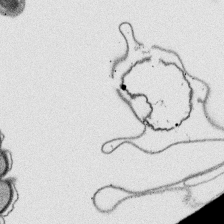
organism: Platynereis dumerilii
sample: Parapodia